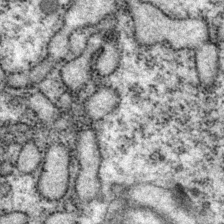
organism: P. pacificus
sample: Pharynx